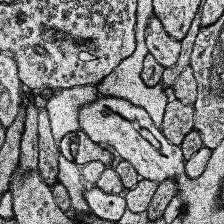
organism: Human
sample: Temporal Lobe